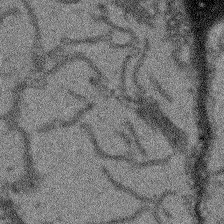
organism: Arabidopsis thaliana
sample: Root tip